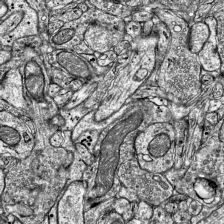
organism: Mouse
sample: Visual Cortex